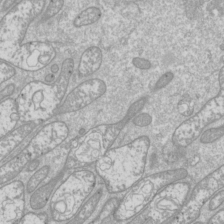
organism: Drosophila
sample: Cell division; meiosis; drosophila spermatocytes